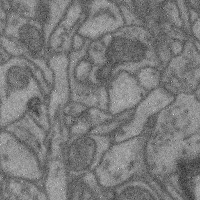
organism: Mouse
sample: Cerebral cortex